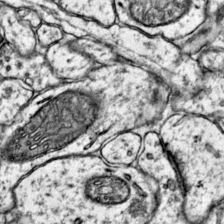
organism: Mouse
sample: Primary visual cortex